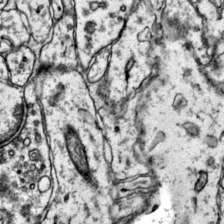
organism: Mouse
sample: Primary visual cortex